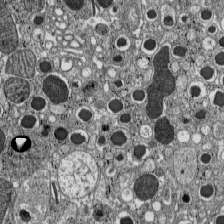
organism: C57BL Mouse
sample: Pancreatic islet